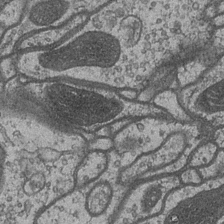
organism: Drosophila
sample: Optic medulla